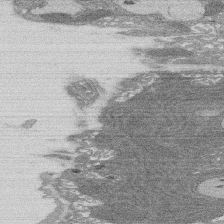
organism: Rat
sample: Salivary granule